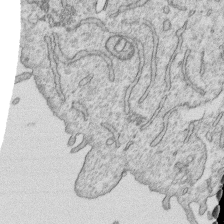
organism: Human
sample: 1205lu cells